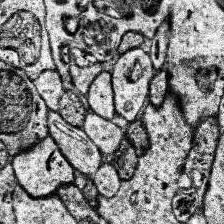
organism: Human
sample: Temporal Lobe